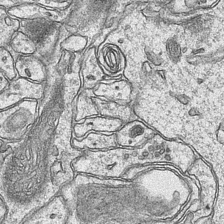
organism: Mouse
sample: CA1 Hippocampus